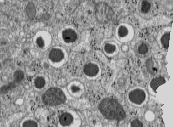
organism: C57BL Mouse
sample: Pancreatic islet